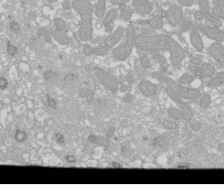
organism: Xenopus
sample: Cilia; centrioles in frog embryo cells